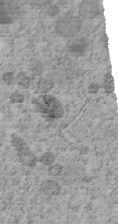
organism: C. elegans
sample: C. elegans embryo early stage